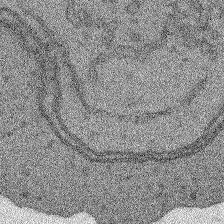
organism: Human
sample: HeLa cells